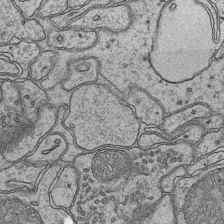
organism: Mouse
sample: CA1 Hippocampus